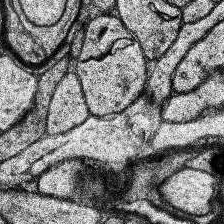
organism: Human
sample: Temporal Lobe